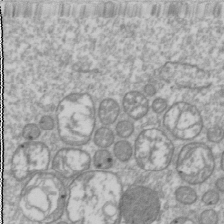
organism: Drosophila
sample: Cell division; meiosis; drosophila spermatocytes